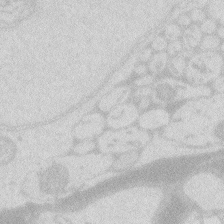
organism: Zebrafish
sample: Macrophage